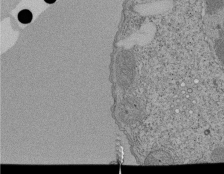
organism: Tetrahymena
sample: Cilia in tetrahymena